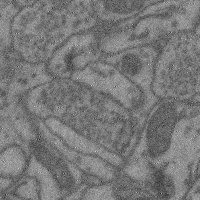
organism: Mouse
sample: Cerebral cortex